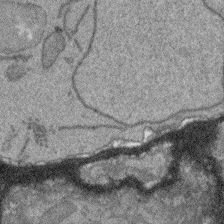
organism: Arabidopsis thaliana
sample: Root tip